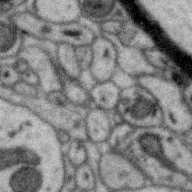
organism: Zebra finch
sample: Brain